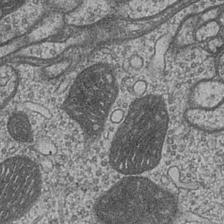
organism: Drosophila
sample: Optic medulla